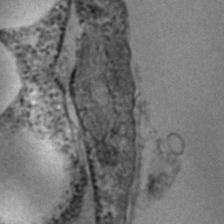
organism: Human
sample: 1205lu cells